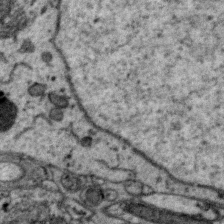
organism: Zebra finch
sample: Brain